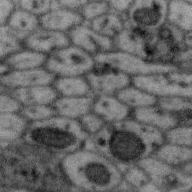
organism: Zebra finch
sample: Brain